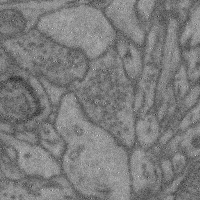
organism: Mouse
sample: Cerebral cortex